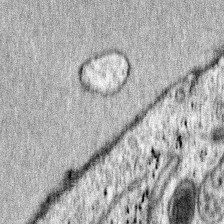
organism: Human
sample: HeLa cells